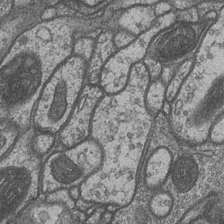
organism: Drosophila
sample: Optic medulla